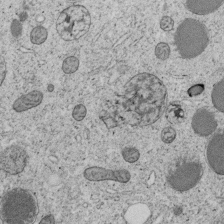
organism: C. elegans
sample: C. elegans embryo early stage